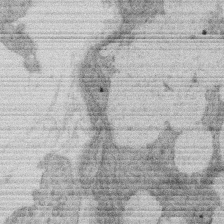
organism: Rat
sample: Salivary granule